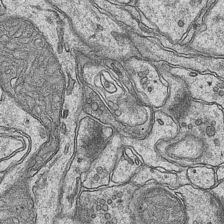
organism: Mouse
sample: CA1 Hippocampus